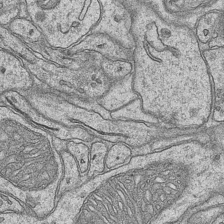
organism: Mouse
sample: CA1 Hippocampus